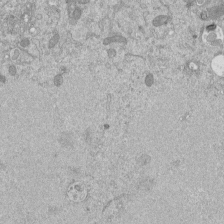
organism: Mouse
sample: ED-1 cell nuclei; centrioles